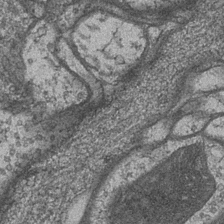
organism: Drosophila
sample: Optic medulla